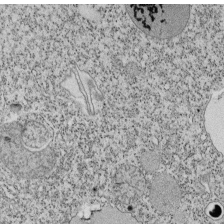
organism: Tetrahymena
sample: Cilia in tetrahymena